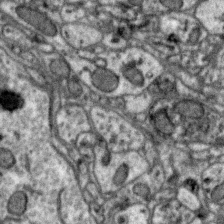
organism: Zebra finch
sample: Brain